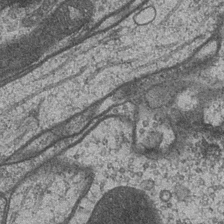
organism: Drosophila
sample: Optic medulla